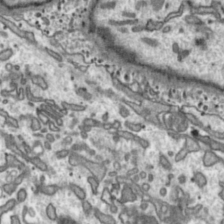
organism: Toxoplasma gondii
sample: Parasites in a vacuole inside a host cell